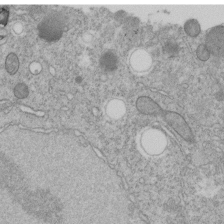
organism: C. elegans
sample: C. elegans embryo early stage